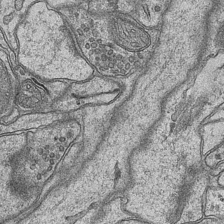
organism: Mouse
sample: CA1 Hippocampus